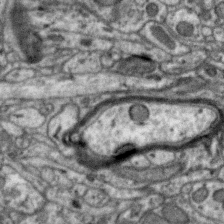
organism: Zebra finch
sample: Brain